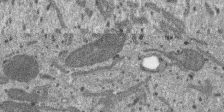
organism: Human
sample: Lung epithelial cells infected with SARS-CoV-2